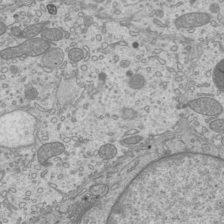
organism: Mouse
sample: Cilia; mouse epididymis